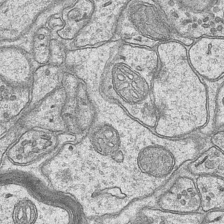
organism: Mouse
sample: CA1 Hippocampus